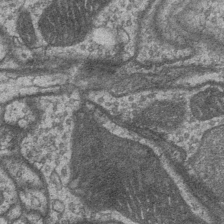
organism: Drosophila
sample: Optic medulla